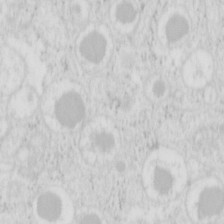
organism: Mouse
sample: Pancreas